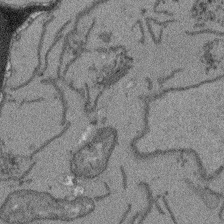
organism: Arabidopsis thaliana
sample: Root tip